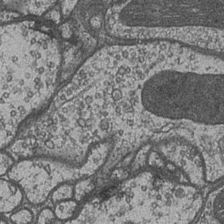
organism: Drosophila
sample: Optic medulla